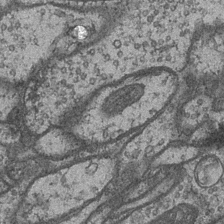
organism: Drosophila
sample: Optic medulla